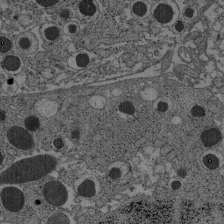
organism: C57BL Mouse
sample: Pancreatic islet